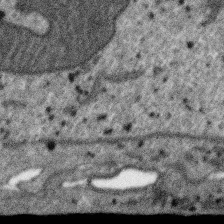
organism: Human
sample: Lung epithelial cells infected with SARS-CoV-2